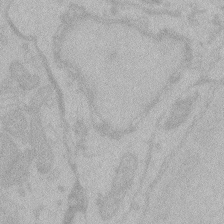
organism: Zebrafish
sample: Macrophage infected with Toxoplasma gondii